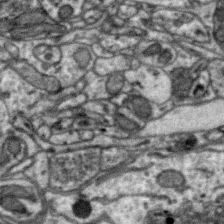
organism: Zebra finch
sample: Brain